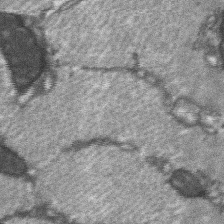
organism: C57BL Mouse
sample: Soleus